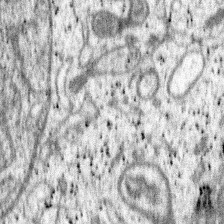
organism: Human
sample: HeLa cells